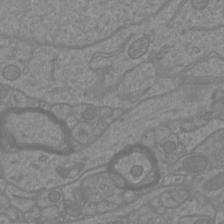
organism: Mouse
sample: Cortical neurons